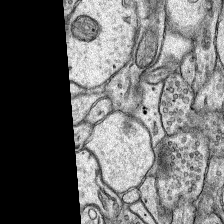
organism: Rat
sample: Hippocampus